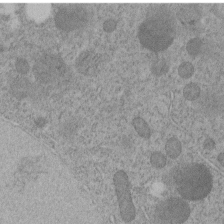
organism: C. elegans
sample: C. elegans embryo early stage